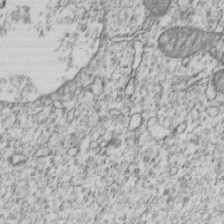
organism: Human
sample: MDA-MB-231 cells